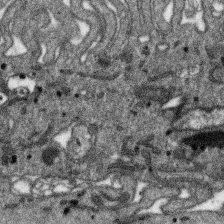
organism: Human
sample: Lung epithelial cells infected with SARS-CoV-2